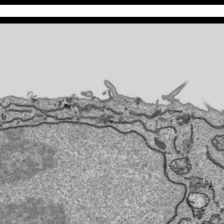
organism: Human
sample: Mitochondria in HCT116 cells